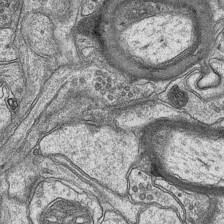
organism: Mouse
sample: CA1 Hippocampus